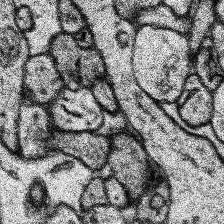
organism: Human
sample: Temporal Lobe